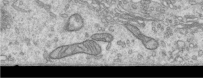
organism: Human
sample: Centriole in RPE cells